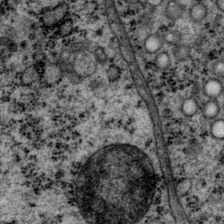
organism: P. pacificus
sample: Pharynx